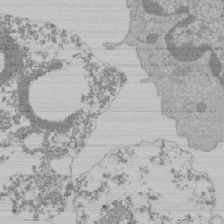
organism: Mouse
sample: Activated Pmel transgenic CD8+ T Cells